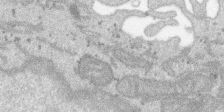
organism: Human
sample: Lung epithelial cells infected with SARS-CoV-2